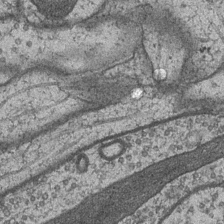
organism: Drosophila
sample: Optic medulla